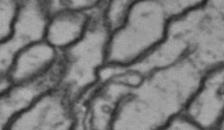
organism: Drosophila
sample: Brain